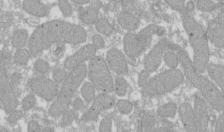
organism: Xenopus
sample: Cilia; centrioles in frog embryo cells